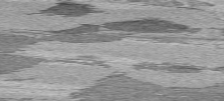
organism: C57BL Mouse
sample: Heart